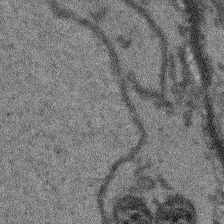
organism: Arabidopsis thaliana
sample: Root tip